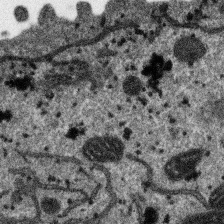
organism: Human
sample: Lung epithelial cells infected with SARS-CoV-2